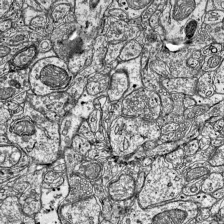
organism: Mouse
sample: Visual Cortex